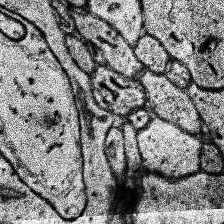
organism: Human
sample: Temporal Lobe